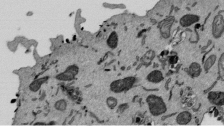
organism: Mouse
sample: ED-1 cell nuclei; centrioles